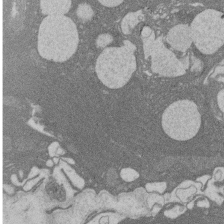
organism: Rat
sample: Salivary granule